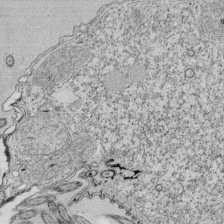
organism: Tetrahymena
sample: Cilia in tetrahymena